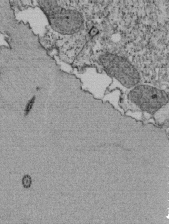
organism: Tetrahymena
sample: Cilia in tetrahymena